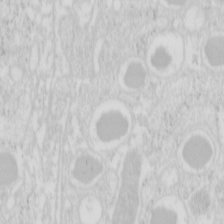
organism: Mouse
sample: Pancreas